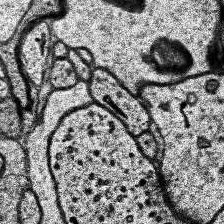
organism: Human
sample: Temporal Lobe